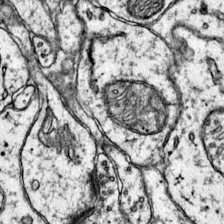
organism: Mouse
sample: Primary visual cortex